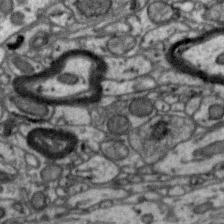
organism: Zebra finch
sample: Brain